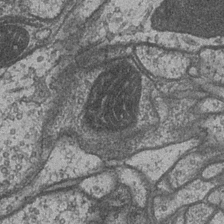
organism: Drosophila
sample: Optic medulla